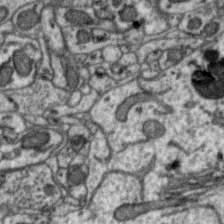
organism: Zebra finch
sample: Brain